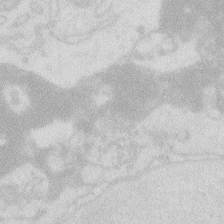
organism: Zebrafish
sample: Macrophage